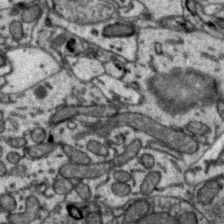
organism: Zebra finch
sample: Brain